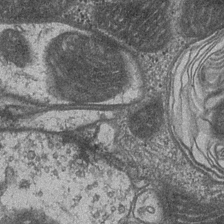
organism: Drosophila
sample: Optic medulla